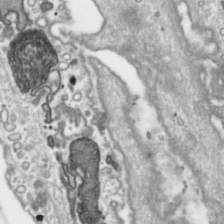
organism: Toxoplasma gondii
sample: Parasites in a vacuole inside a host cell